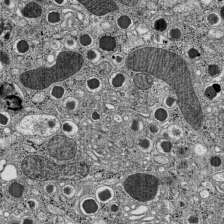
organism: C57BL Mouse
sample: Pancreatic islet